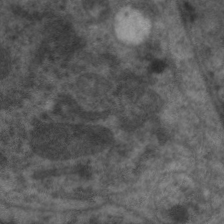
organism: C. elegans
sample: Pharynx